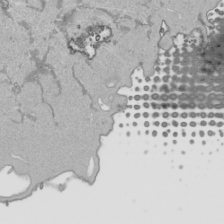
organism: Human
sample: Mitochondria in HCT116 cells